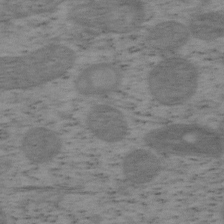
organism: Mouse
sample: OT-I killer T cells with ID8 ovarian cancer cells